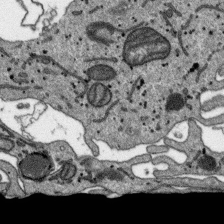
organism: Human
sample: Lung epithelial cells, uninfected (mock) control